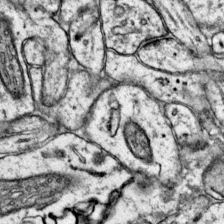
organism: Mouse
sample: Primary visual cortex